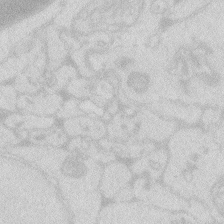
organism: Zebrafish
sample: Macrophage